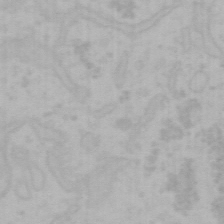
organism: Mouse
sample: Choroid plexus